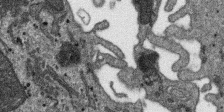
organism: Human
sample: Lung epithelial cells infected with SARS-CoV-2